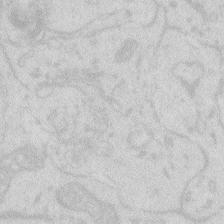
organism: Zebrafish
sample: Macrophage